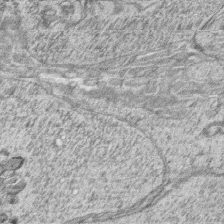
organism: Zebrafish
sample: synaptic ribbons in rod cells and cone cells